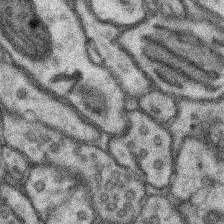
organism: Mouse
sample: Somatosensory cortex neuropil